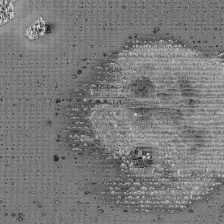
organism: Mouse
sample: Activated Pmel transgenic CD8+ T Cells